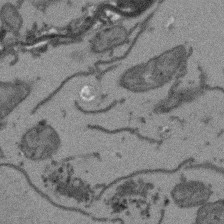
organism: Arabidopsis thaliana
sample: Root tip